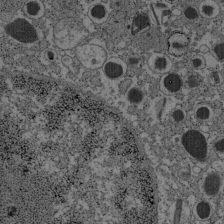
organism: C57BL Mouse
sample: Pancreatic islet